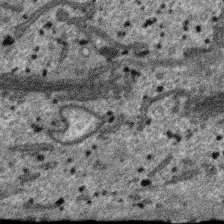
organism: Human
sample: Lung epithelial cells infected with SARS-CoV-2